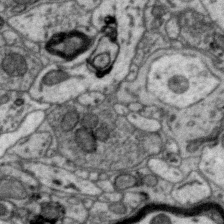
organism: Zebra finch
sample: Brain